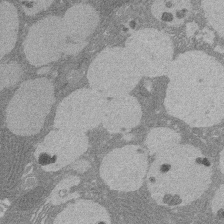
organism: Rat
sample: Salivary granule